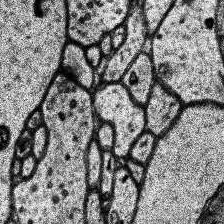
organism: Human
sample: Temporal Lobe